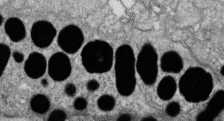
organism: Zebrafish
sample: Cilia; retinal pigment epithelium